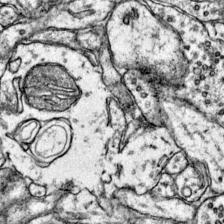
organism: Mouse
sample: Primary visual cortex